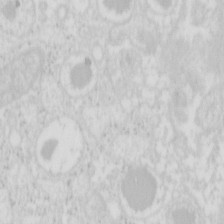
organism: Mouse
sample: Pancreas